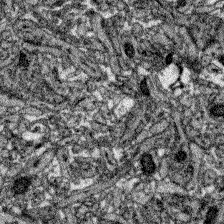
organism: Zebrafish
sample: Larval olfactory bulb